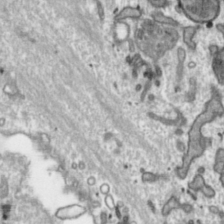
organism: Toxoplasma gondii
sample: Parasites in a vacuole inside a host cell